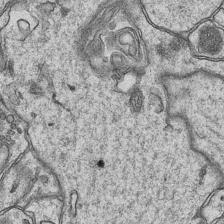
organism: Mouse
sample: CA1 Hippocampus